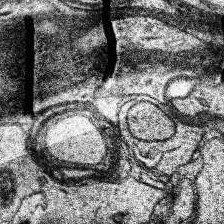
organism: Human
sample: Temporal Lobe